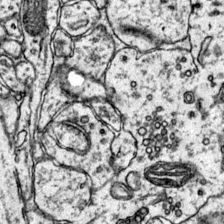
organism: Mouse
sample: Primary visual cortex